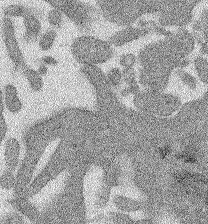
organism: Human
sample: HeLa cells